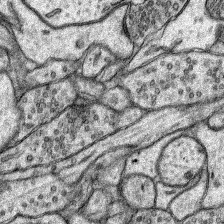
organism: Rat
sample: Hippocampus